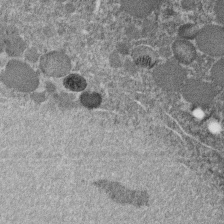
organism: C. elegans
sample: C. elegans embryo early stage